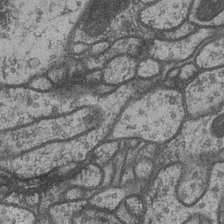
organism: Drosophila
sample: Optic medulla